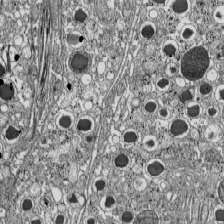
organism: C57BL Mouse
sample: Pancreatic islet